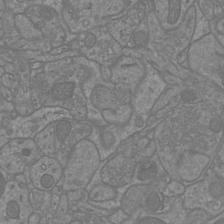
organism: Mouse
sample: Cortical neurons